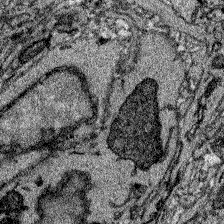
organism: Zebrafish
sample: Larval olfactory bulb